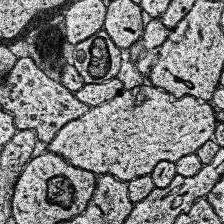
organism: Human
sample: Temporal Lobe